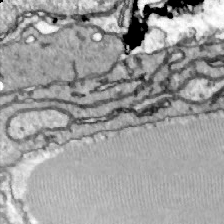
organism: Zebrafish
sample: Actinotrichia fibers